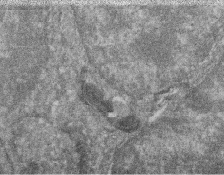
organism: Zebrafish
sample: Cilia; retinal pigment epithelium